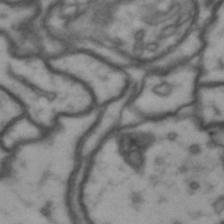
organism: Drosophila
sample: Brain